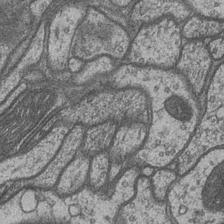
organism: Drosophila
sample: Optic medulla